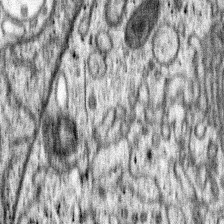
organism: Human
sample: HeLa cells